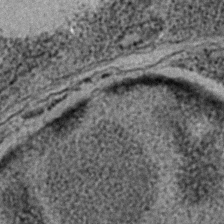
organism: C. elegans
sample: C. elegans embryo